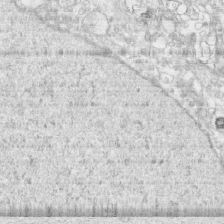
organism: Human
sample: CRL-1474